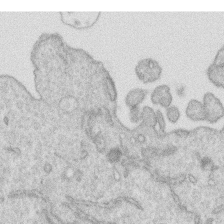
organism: Human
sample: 1205lu cells